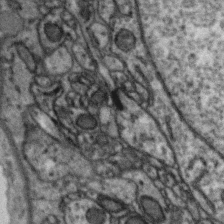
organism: Zebra finch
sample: Brain